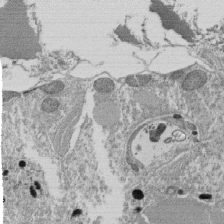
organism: Tetrahymena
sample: Cilia in tetrahymena